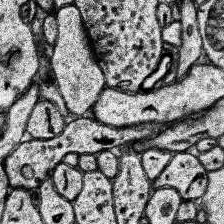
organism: Human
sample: Temporal Lobe